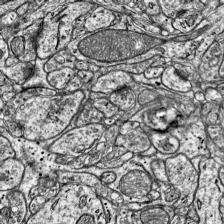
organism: Mouse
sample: Visual Cortex